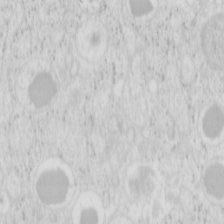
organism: Mouse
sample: Pancreas